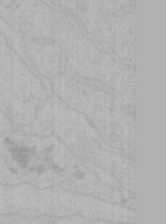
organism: Mouse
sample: Choroid plexus